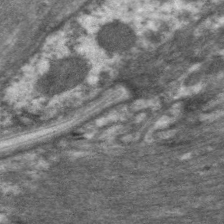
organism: C. elegans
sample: Pharynx